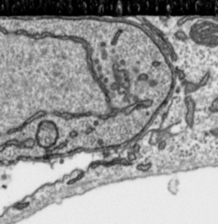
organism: Toxoplasma gondii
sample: Parasites in a vacuole inside a host cell